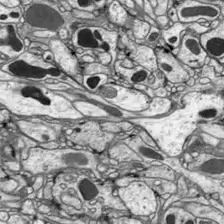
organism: Drosophila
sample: Optic lobe